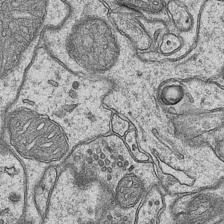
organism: Mouse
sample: CA1 Hippocampus